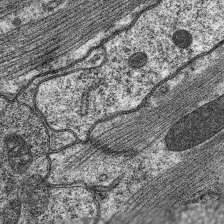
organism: C. elegans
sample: Pharynx